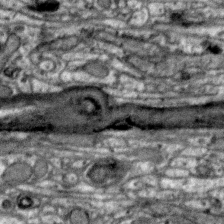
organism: Zebra finch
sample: Brain